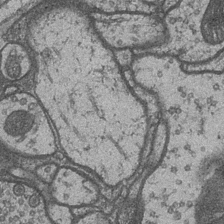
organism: Drosophila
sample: Optic medulla